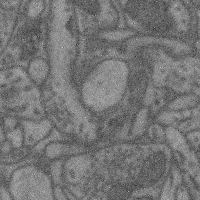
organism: Mouse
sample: Cerebral cortex